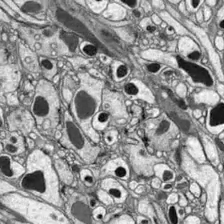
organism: Drosophila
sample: Optic lobe